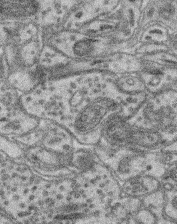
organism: Mouse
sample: Retina